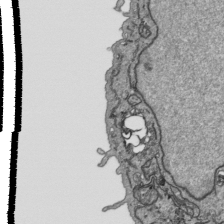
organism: Human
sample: Mitochondria in HCT116 cells